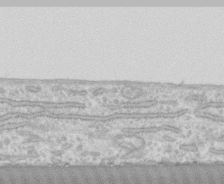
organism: Human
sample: CRL-1474